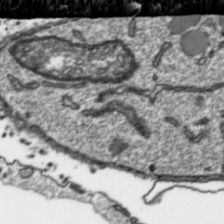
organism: Toxoplasma gondii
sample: Parasites in a vacuole inside a host cell